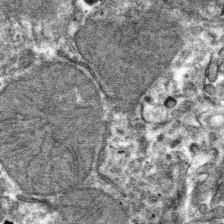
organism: Mouse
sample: Mouse hepatocytes